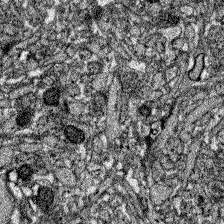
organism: Zebrafish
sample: Larval olfactory bulb